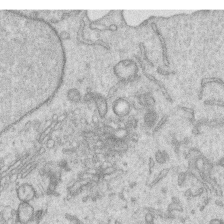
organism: Human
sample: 1205lu cells